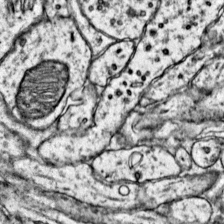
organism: Mouse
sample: Primary visual cortex